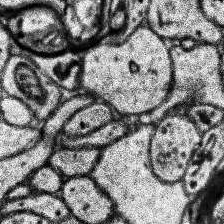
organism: Human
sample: Temporal Lobe